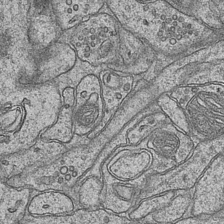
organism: Mouse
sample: CA1 Hippocampus